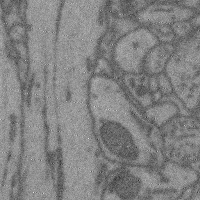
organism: Mouse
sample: Cerebral cortex